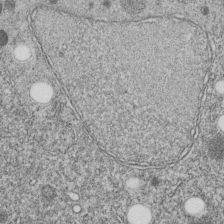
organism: C. elegans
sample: C. elegans embryo early stage